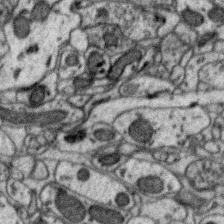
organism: Zebra finch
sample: Brain